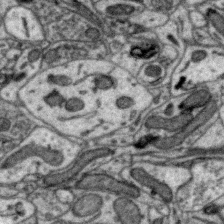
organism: Zebra finch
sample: Brain